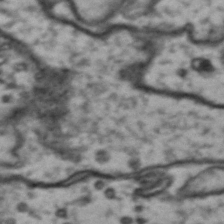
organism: Drosophila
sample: Brain